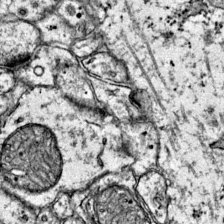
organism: Mouse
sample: Primary visual cortex